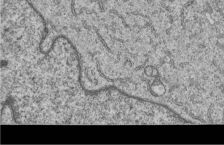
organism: Human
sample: MDA-MB-231 cells